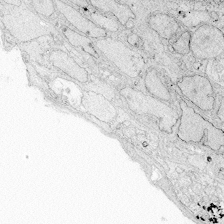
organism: Zebrafish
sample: Whole-Brain